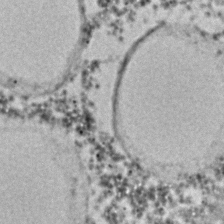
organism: C. elegans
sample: C. elegans embryo